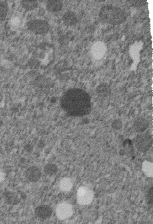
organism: C. elegans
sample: C. elegans embryo early stage